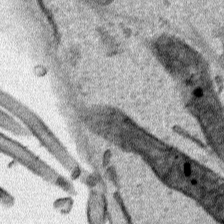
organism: Human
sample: Mitochondria in HCT116 cells